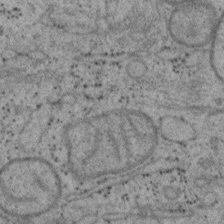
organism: Human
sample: HeLa cells